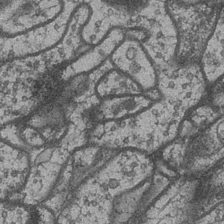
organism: Drosophila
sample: Optic medulla